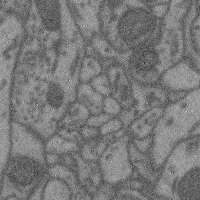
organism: Mouse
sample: Cerebral cortex